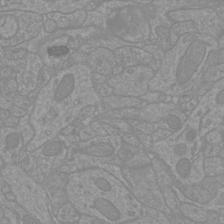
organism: Mouse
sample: Cortical neurons